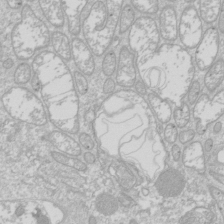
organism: Drosophila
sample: Cell division; meiosis; drosophila spermatocytes